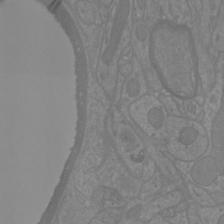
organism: Mouse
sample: Cortical neurons